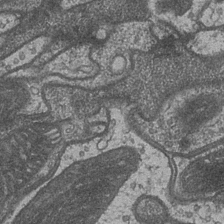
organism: Drosophila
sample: Optic medulla